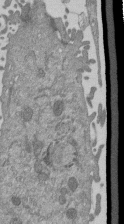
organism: Mouse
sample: ED-1 cell nuclei; centrioles